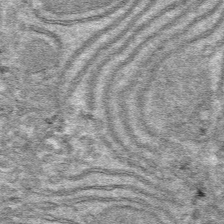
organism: Mouse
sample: Mouse hepatocytes